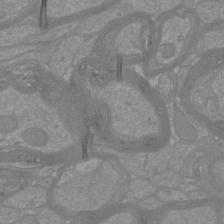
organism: Mouse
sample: Cortical neurons